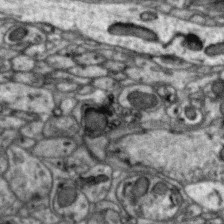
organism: Zebra finch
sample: Brain